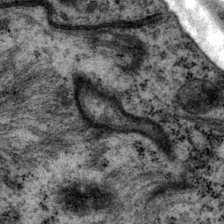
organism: P. pacificus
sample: Pharynx